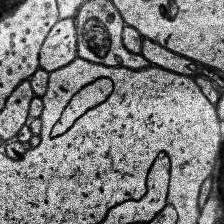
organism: Human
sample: Temporal Lobe